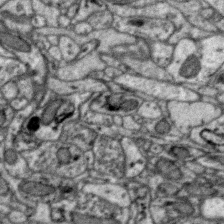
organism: Zebra finch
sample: Brain